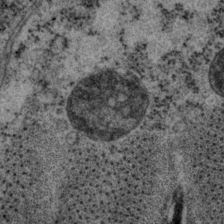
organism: P. pacificus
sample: Pharynx